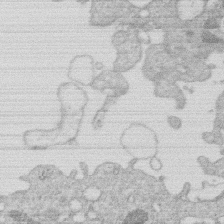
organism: Human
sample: Macrophage cells